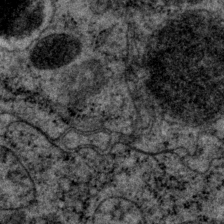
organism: P. pacificus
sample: Pharynx